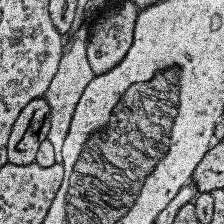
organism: Human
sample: Temporal Lobe